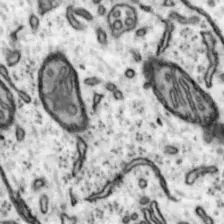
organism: Mouse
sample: Nucleus accumbens